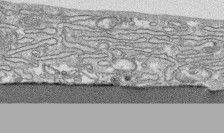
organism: Human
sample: CRL-1474